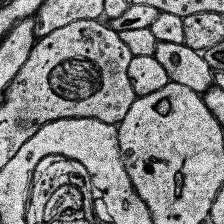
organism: Human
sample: Temporal Lobe